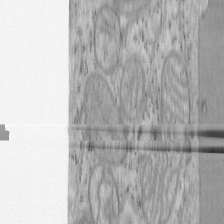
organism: Human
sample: HeLa cells